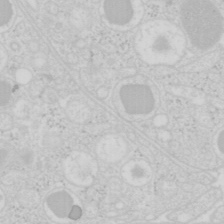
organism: Mouse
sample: Pancreas